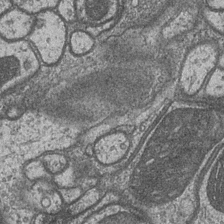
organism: Drosophila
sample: Optic medulla